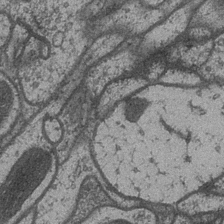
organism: Drosophila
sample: Optic medulla